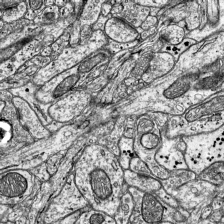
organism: Mouse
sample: Visual Cortex